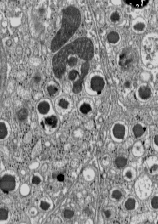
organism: C57BL Mouse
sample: Pancreatic islet